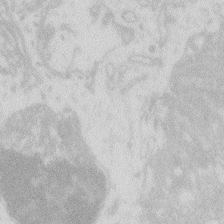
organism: Zebrafish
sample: Macrophage